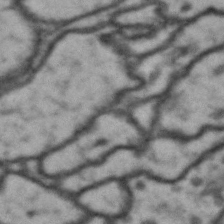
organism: Drosophila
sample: Brain